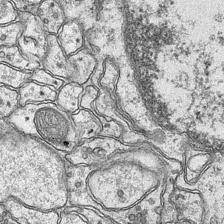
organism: Mouse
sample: CA1 Hippocampus